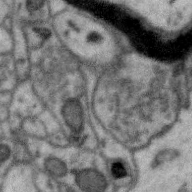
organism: Zebra finch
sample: Brain